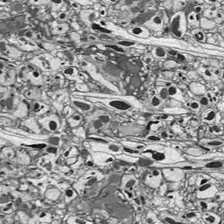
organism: Drosophila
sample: Optic lobe